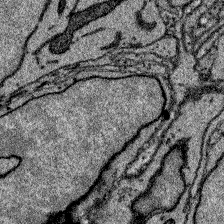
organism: Zebrafish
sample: Larval olfactory bulb